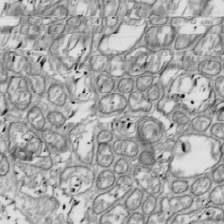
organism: Drosophila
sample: Cell division; meiosis; drosophila spermatocytes